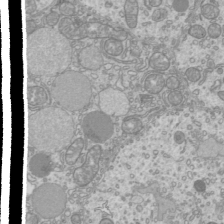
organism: Mouse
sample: Cilia; mouse epididymis